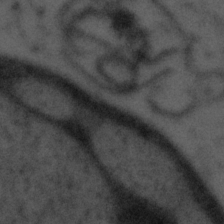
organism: Tuwongella immobilis